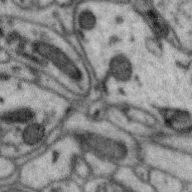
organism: Zebra finch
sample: Brain